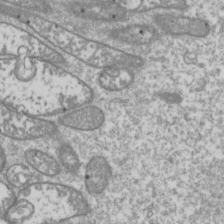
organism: Drosophila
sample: Cell division; meiosis; drosophila spermatocytes